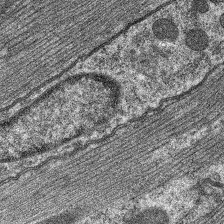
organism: C. elegans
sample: Pharynx